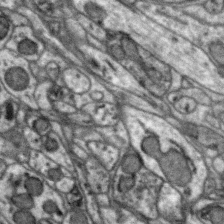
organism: Zebra finch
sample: Brain